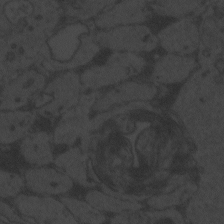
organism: Zebrafish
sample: Macrophage infected with Toxoplasma gondii